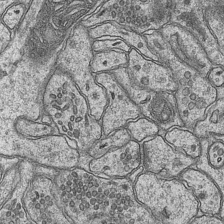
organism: Mouse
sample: CA1 Hippocampus